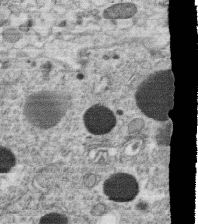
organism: C. elegans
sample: C. elegans oocyte; sperm cells